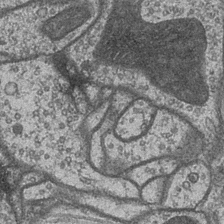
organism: Drosophila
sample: Optic medulla